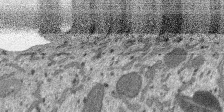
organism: Human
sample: Lung epithelial cells infected with SARS-CoV-2